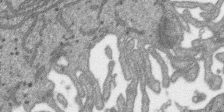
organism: Human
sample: Lung epithelial cells infected with SARS-CoV-2